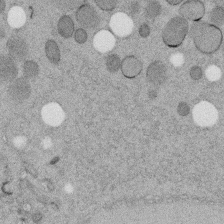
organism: C. elegans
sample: C. elegans embryo early stage